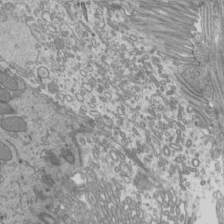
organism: Mouse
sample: Cilia; mouse epididymis